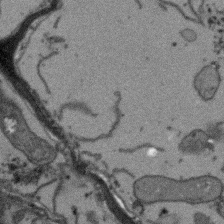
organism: Arabidopsis thaliana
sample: Root tip